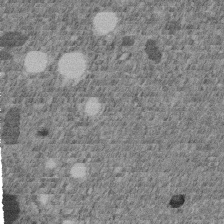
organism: C. elegans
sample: C. elegans embryo early stage